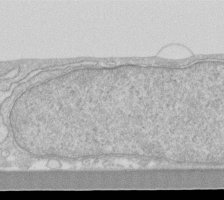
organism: Human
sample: Fibroblast cells